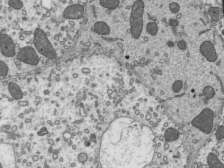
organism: Mouse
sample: Mouse epididymis efferent ductule cilia